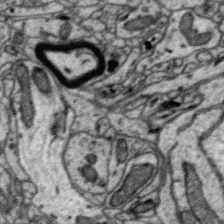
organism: Zebra finch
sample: Brain